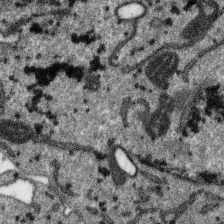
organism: Human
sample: Lung epithelial cells infected with SARS-CoV-2